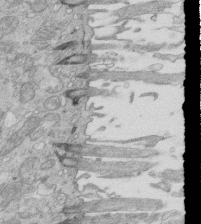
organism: Mouse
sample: Multiciliated cells